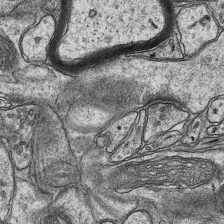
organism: Mouse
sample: CA1 Hippocampus